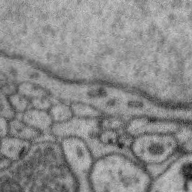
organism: Zebra finch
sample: Brain